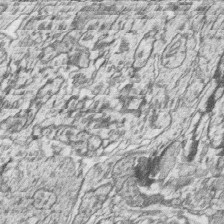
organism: Zebrafish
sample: synaptic ribbons in rod cells and cone cells